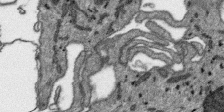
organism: Human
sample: Lung epithelial cells, uninfected (mock) control